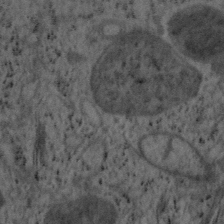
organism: Human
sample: HeLa cells